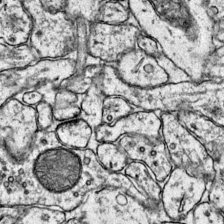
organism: Mouse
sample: Primary visual cortex